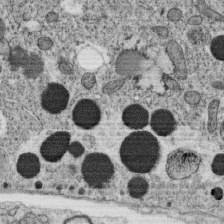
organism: C. elegans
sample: C. elegans oocyte; sperm cells